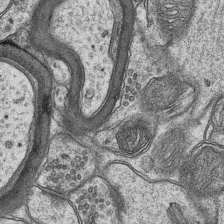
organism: Mouse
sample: CA1 Hippocampus